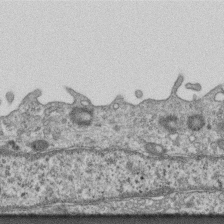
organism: Mouse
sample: Centriole in ependymal cells